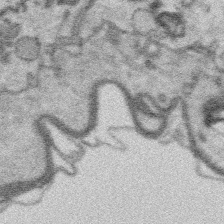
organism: Platynereis dumerilii